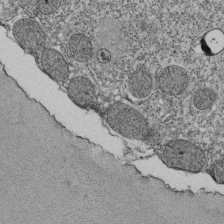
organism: Tetrahymena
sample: Cilia in tetrahymena